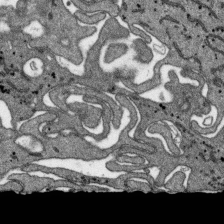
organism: Human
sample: Lung epithelial cells, uninfected (mock) control